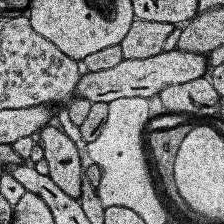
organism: Human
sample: Temporal Lobe